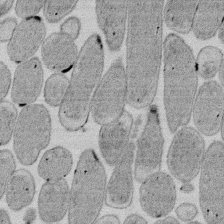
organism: E. coli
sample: Bacterial nucleoid